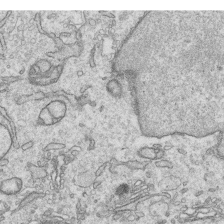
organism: Human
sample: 1205lu cells